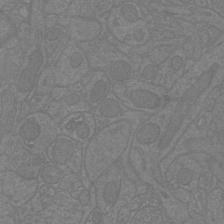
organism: Mouse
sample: Cortical neurons